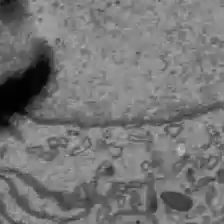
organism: C57BL Mouse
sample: Liver